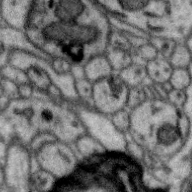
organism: Zebra finch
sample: Brain